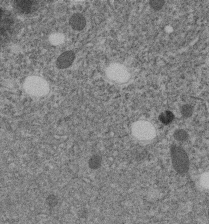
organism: C. elegans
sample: C. elegans embryo early stage